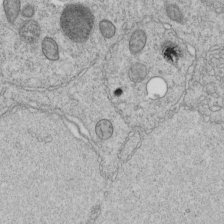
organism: C. elegans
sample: C. elegans embryo early stage